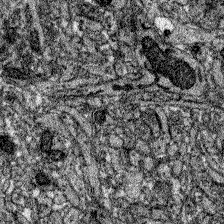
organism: Zebrafish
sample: Larval olfactory bulb